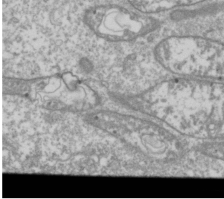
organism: Drosophila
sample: Cell division; meiosis; drosophila spermatocytes